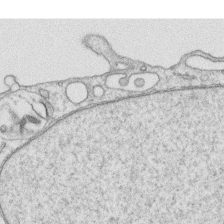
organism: Human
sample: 1205lu cells